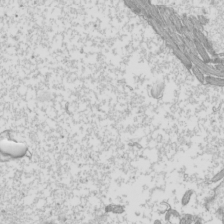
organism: Mouse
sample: Cilia; mouse epididymis